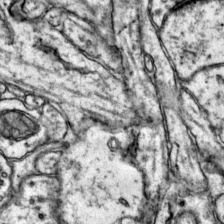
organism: Mouse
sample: Primary visual cortex